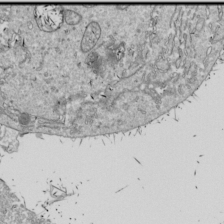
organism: Drosophila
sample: Cell division; meiosis; drosophila spermatocytes